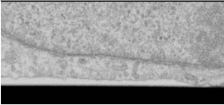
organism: Human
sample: Cilia; basal body in RPE cells